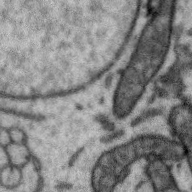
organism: Zebra finch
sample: Brain